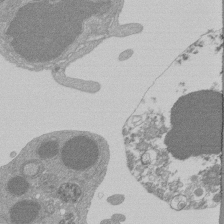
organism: Mouse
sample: Activated Pmel transgenic CD8+ T Cells